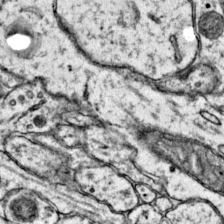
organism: Mouse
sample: Primary visual cortex